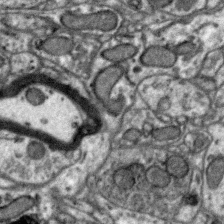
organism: Zebra finch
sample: Brain